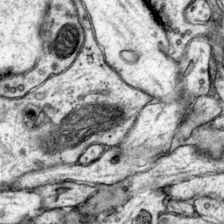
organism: Mouse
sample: Primary visual cortex